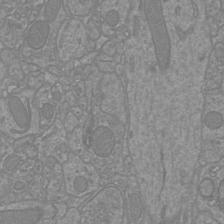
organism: Mouse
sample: Cortical neurons